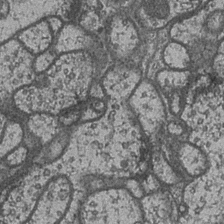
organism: Drosophila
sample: Optic medulla